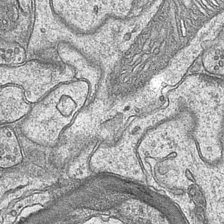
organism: Mouse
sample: CA1 Hippocampus